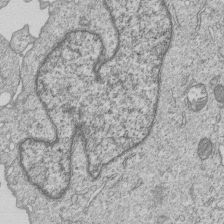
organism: Human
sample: MDA-MB-231 cells